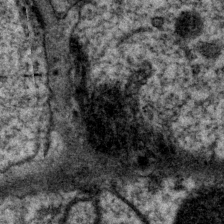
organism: P. pacificus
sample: Pharynx